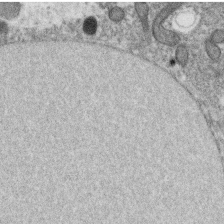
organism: C. elegans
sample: C. elegans oocyte; sperm cells